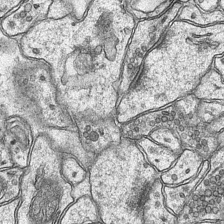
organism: Mouse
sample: CA1 Hippocampus